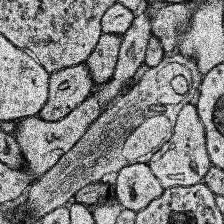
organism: Human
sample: Temporal Lobe